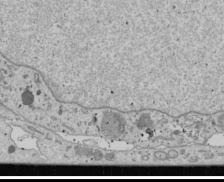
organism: Human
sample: Mitochondria in U2OS cells